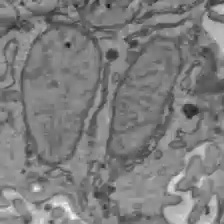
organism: C57BL Mouse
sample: Liver